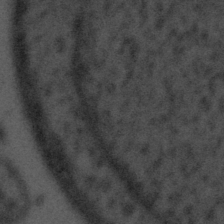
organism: Tuwongella immobilis